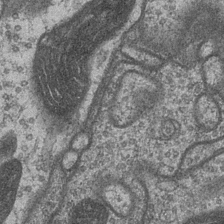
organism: Drosophila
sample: Optic medulla